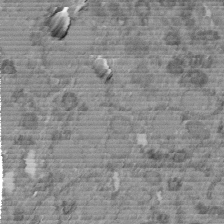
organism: C. elegans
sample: C. elegans embryo early stage